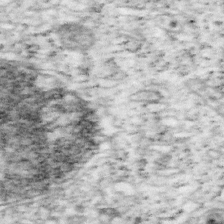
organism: Mouse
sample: OT-I killer T cells with ID8 ovarian cancer cells